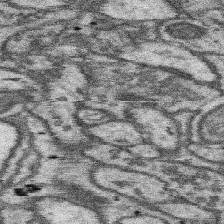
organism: Mouse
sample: Somatosensory cortex neuropil